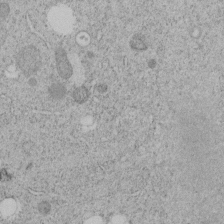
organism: C. elegans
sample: C. elegans embryo early stage